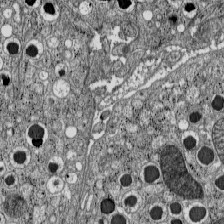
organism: C57BL Mouse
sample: Pancreatic islet